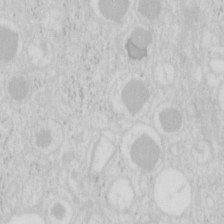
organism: Mouse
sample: Pancreas